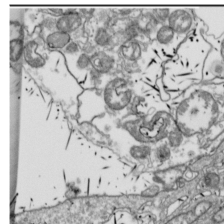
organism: Drosophila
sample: Cell division; meiosis; drosophila spermatocytes